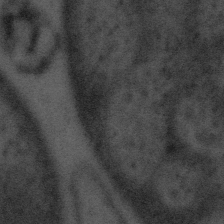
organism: Tuwongella immobilis